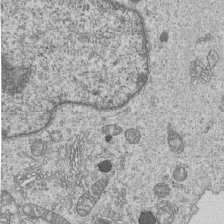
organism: Human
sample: MDA-MB-231 cells